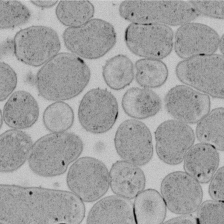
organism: E. coli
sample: Bacterial nucleoid